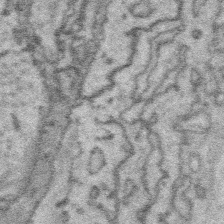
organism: Platynereis dumerilii